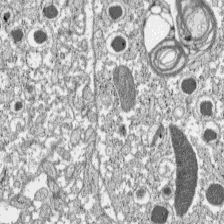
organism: C57BL Mouse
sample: Pancreatic islet